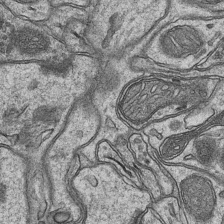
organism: Mouse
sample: CA1 Hippocampus